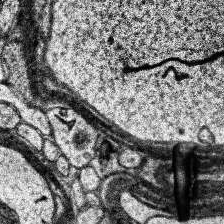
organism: Human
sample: Temporal Lobe